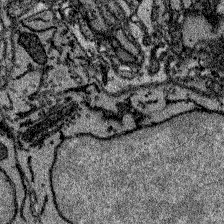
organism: Zebrafish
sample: Larval olfactory bulb